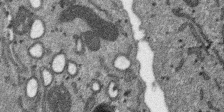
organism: Human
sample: Lung epithelial cells infected with SARS-CoV-2